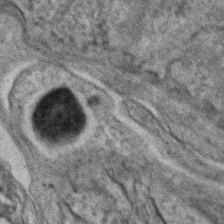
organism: C. elegans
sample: C. elegans embryo